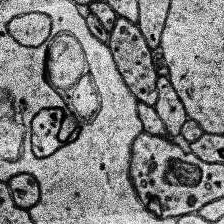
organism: Human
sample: Temporal Lobe